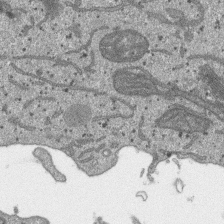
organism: Human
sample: Lung epithelial cells infected with SARS-CoV-2